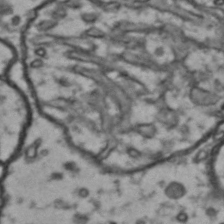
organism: Drosophila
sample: Brain